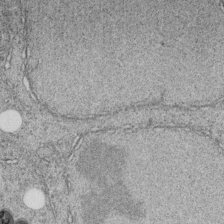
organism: C. elegans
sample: C. elegans embryo early stage